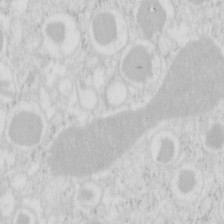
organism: Mouse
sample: Pancreas